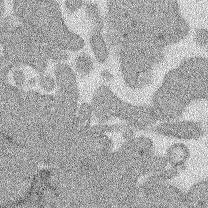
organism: Human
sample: HeLa cells